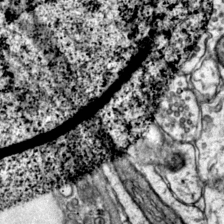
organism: Mouse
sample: Primary visual cortex